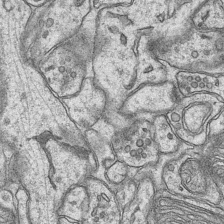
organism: Mouse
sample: CA1 Hippocampus